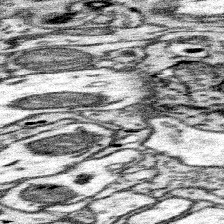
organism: Mouse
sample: Somatosensory cortex neuropil